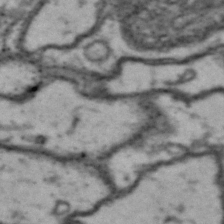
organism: Drosophila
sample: Brain